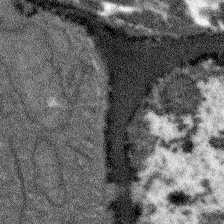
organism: Arabidopsis thaliana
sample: Root tip